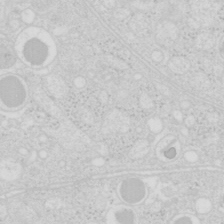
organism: Mouse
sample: Pancreas